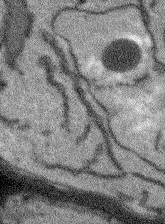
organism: Arabidopsis thaliana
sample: Root tip